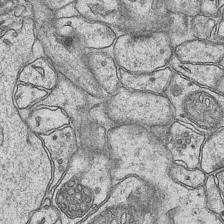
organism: Mouse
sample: CA1 Hippocampus